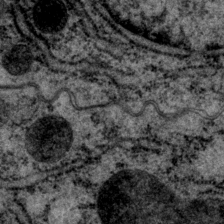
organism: P. pacificus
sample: Pharynx